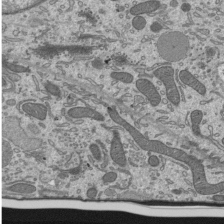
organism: Mouse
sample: Mouse epididymis efferent ductule cilia